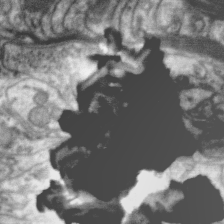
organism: Zebra finch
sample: Brain